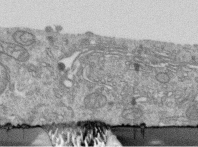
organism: Human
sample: Centriole in RPE cells